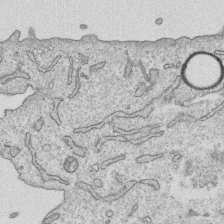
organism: Human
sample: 1205lu cells